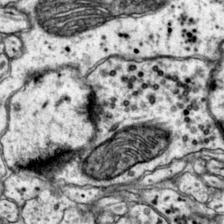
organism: Mouse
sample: Primary visual cortex